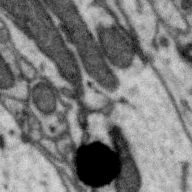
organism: Zebra finch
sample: Brain